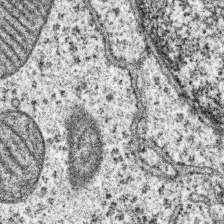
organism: Human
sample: HeLa cells